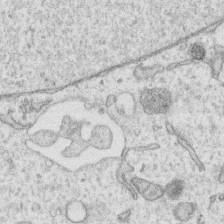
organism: Human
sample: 1205lu cells